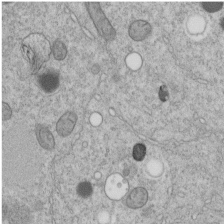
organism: C. elegans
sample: C. elegans embryo early stage